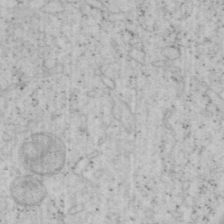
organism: Human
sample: HeLa cells